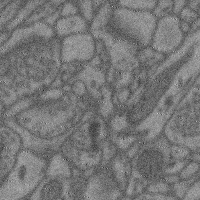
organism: Mouse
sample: Cerebral cortex